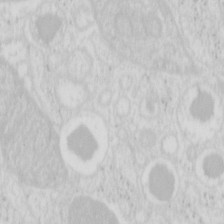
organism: Mouse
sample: Pancreas